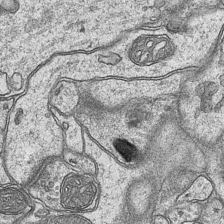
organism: Mouse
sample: CA1 Hippocampus